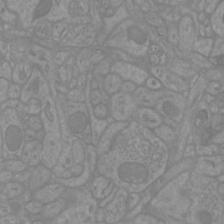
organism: Mouse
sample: Cortical neurons